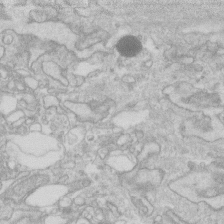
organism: Human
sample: Fibroblast cells